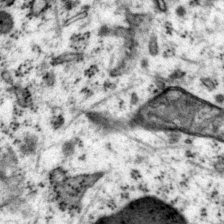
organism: Mouse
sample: Primary visual cortex